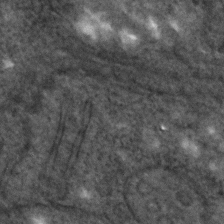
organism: C. elegans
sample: C. elegans embryo